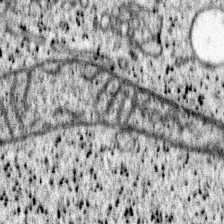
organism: Human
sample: HeLa cells